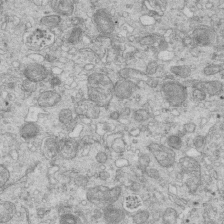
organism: Mouse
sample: Multiciliated cells